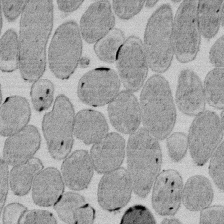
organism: E. coli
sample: Bacterial nucleoid